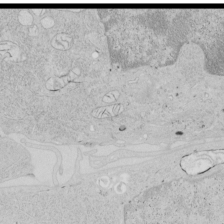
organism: Human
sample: Mitochondria in HCT116 cells